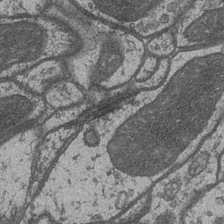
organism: Drosophila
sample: Optic medulla